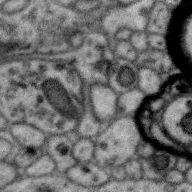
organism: Zebra finch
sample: Brain